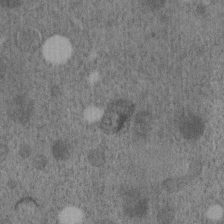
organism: C. elegans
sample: C. elegans embryo early stage